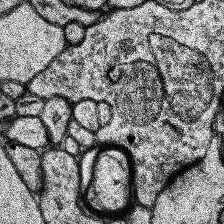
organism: Human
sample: Temporal Lobe